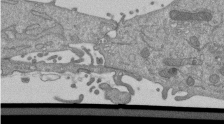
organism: Mouse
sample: ED-1 cell nuclei; centrioles